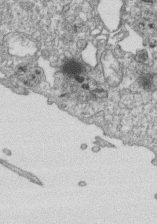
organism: Human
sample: HeLa cell HIV synapse